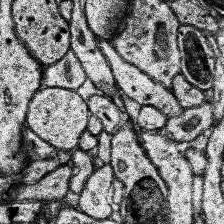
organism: Human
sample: Temporal Lobe